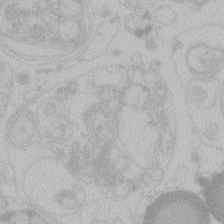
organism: Zebrafish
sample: Macrophage infected with Toxoplasma gondii